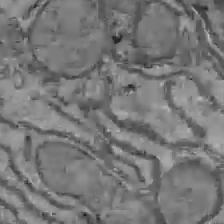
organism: C57BL Mouse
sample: Liver